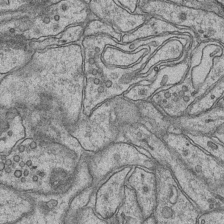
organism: Mouse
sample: CA1 Hippocampus